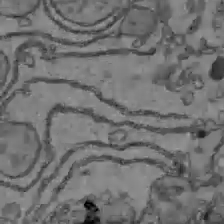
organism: C57BL Mouse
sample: Liver